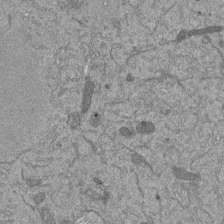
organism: Mouse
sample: ED-1 cell nuclei; centrioles